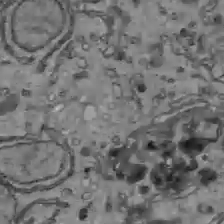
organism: C57BL Mouse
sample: Liver